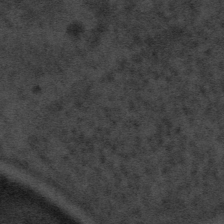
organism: Tuwongella immobilis